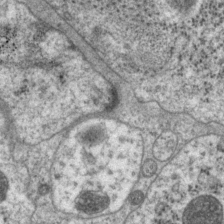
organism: P. pacificus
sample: Pharynx